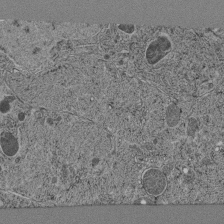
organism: C. elegans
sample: C. elegans pharynx